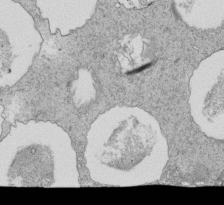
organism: Tetrahymena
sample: Cilia in tetrahymena